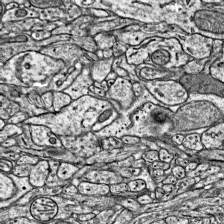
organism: Mouse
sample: Visual Cortex